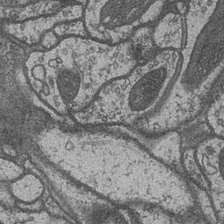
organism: Drosophila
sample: Optic medulla